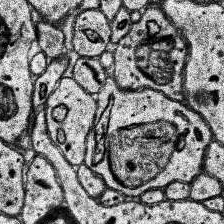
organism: Human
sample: Temporal Lobe